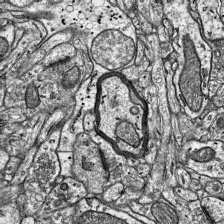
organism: Mouse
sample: Visual Cortex